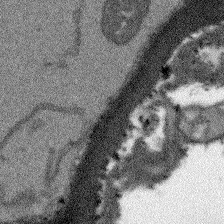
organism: Arabidopsis thaliana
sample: Root tip